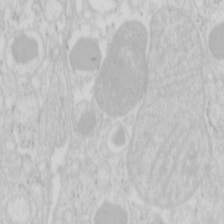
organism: Mouse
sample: Pancreas